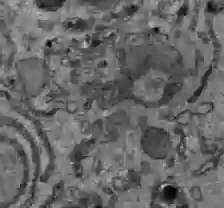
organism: C57BL Mouse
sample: Liver